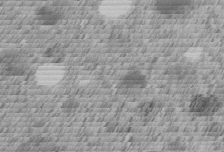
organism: C. elegans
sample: C. elegans embryo early stage